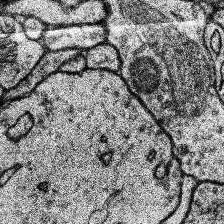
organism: Human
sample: Temporal Lobe